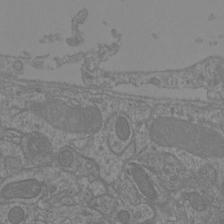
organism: Mouse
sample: Cortical neurons